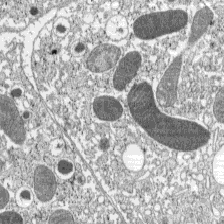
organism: C57BL Mouse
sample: Pancreatic islet